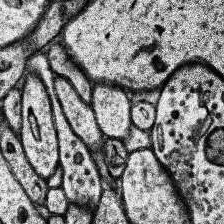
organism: Human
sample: Temporal Lobe